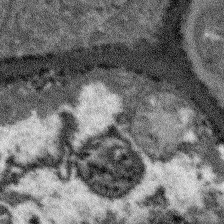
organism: Arabidopsis thaliana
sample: Root tip